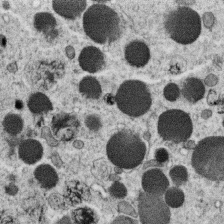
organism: C. elegans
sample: C. elegans oocyte; sperm cells